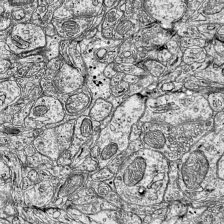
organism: Mouse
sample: Visual Cortex